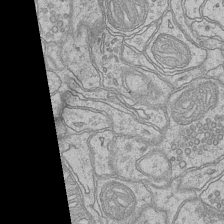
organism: Mouse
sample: CA1 Hippocampus